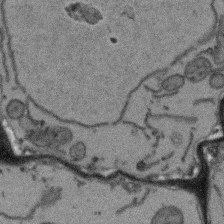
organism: Arabidopsis thaliana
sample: Root tip